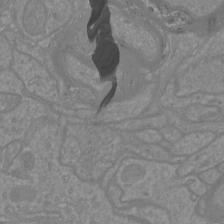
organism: Mouse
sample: Cortical neurons